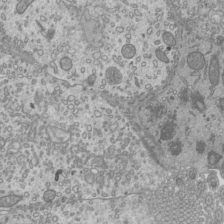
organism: Mouse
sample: Cilia; mouse epididymis